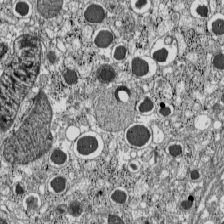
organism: C57BL Mouse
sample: Pancreatic islet